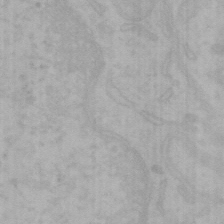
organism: Mouse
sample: Choroid plexus